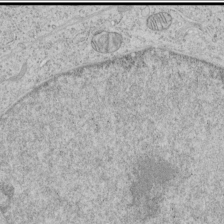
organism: Human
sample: Mitochondria in HCT116 cells